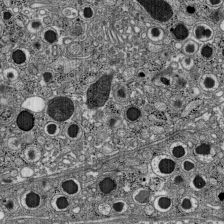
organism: C57BL Mouse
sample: Pancreatic islet